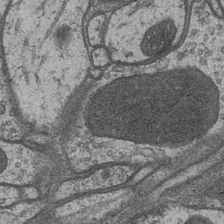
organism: Drosophila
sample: Optic medulla